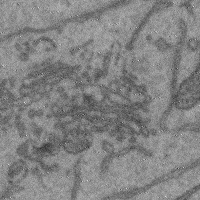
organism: Mouse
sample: Cerebral cortex